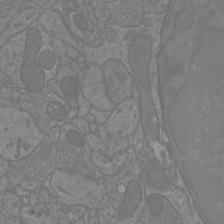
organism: Mouse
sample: Cortical neurons